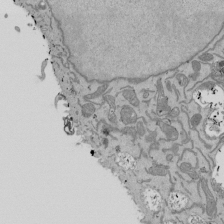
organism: Mouse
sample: ED-1 cell nuclei; centrioles